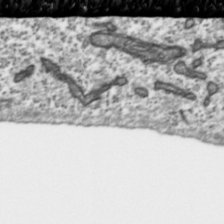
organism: Toxoplasma gondii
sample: Parasites in a vacuole inside a host cell